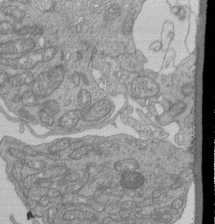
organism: Human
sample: Retinal organoid Rod and Cone cells